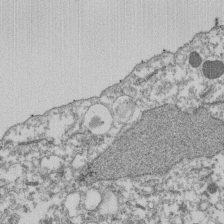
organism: Dictyostelium discoideum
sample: Dictyostelium multivesicular bodies